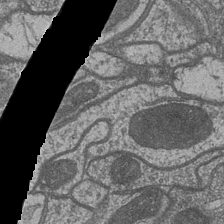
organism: Drosophila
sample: Optic medulla